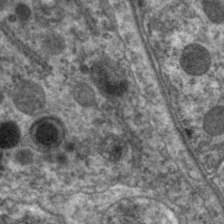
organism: C. elegans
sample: Pharynx